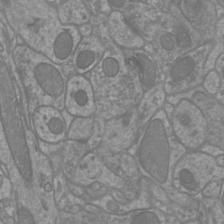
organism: Mouse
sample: Cortical neurons